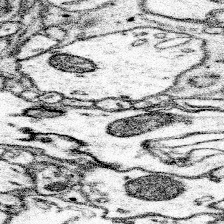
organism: Mouse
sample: Somatosensory cortex neuropil